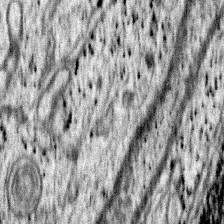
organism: Human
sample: HeLa cells